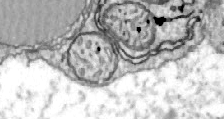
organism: Zebrafish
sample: Actinotrichia fibers